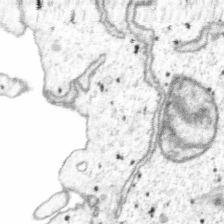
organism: Human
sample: HeLa cells